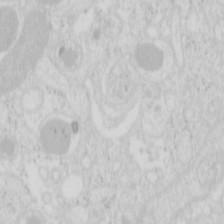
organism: Mouse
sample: Pancreas